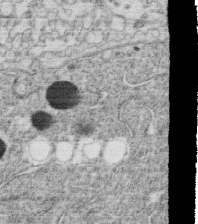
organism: C. elegans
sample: C. elegans oocyte; sperm cells